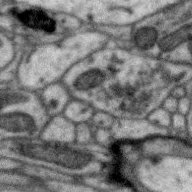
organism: Zebra finch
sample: Brain